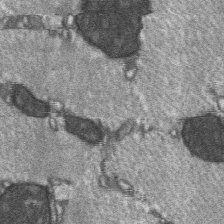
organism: C57BL Mouse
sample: Soleus